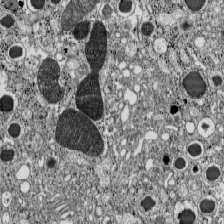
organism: C57BL Mouse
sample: Pancreatic islet